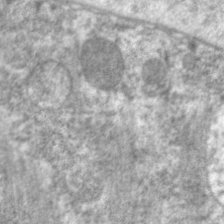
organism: C. elegans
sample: Pharynx